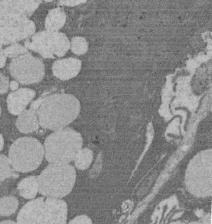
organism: Rat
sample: Salivary granule